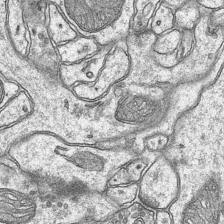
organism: Mouse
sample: CA1 Hippocampus